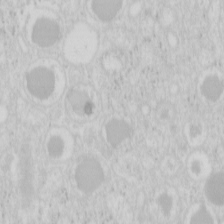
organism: Mouse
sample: Pancreas